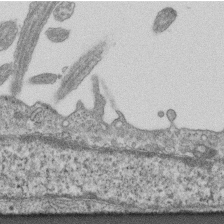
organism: Mouse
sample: Centriole in ependymal cells